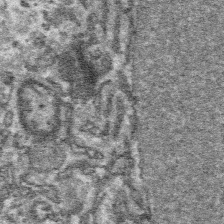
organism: Platynereis dumerilii